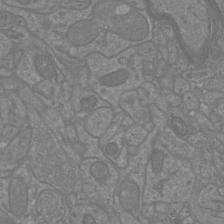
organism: Mouse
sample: Cortical neurons